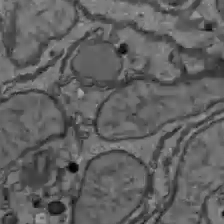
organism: C57BL Mouse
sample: Liver